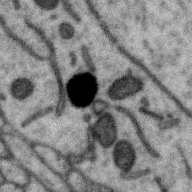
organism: Zebra finch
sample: Brain